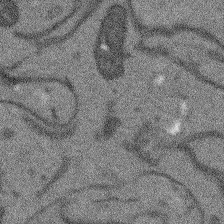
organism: Arabidopsis thaliana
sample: Root tip